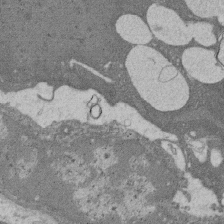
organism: Rat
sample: Salivary granule